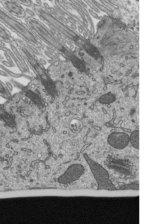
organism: Mouse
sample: Mouse epididymis efferent ductule cilia